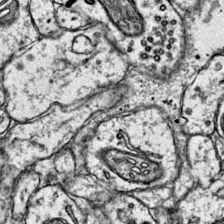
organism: Mouse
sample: Primary visual cortex